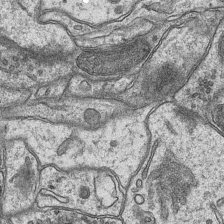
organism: Mouse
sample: CA1 Hippocampus